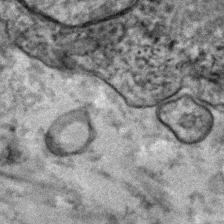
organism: Human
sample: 1205lu cells